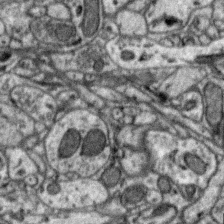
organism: Zebra finch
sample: Brain